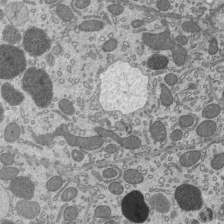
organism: Mouse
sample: Mouse epididymis efferent ductule cilia